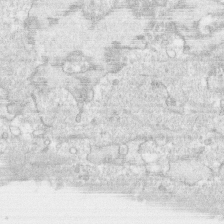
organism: Human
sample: CRL-1474